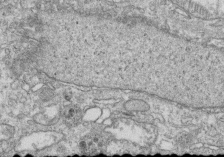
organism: Human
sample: HeLa cell HIV synapse